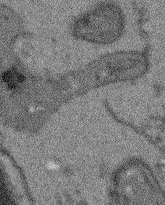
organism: Arabidopsis thaliana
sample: Root tip